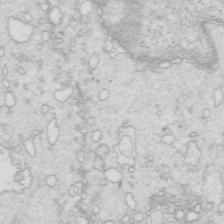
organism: Mouse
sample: Multiciliated cells